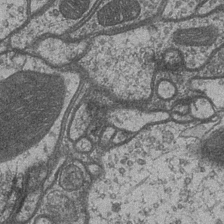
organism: Drosophila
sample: Optic medulla